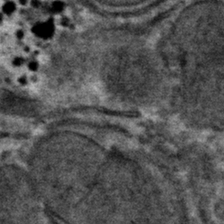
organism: Mouse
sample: Mouse hepatocytes